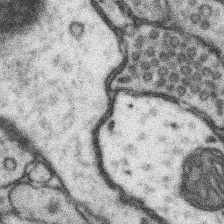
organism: Mouse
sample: Somatosensory cortex neuropil